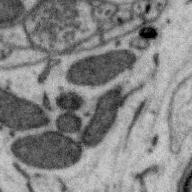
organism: Zebra finch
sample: Brain